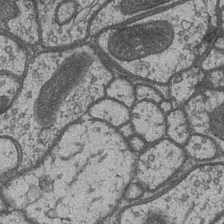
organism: Drosophila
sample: Optic medulla